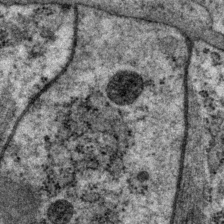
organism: P. pacificus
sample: Pharynx